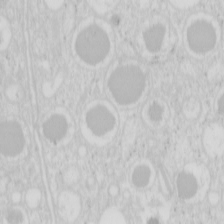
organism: Mouse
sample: Pancreas